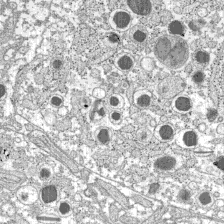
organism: C57BL Mouse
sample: Pancreatic islet